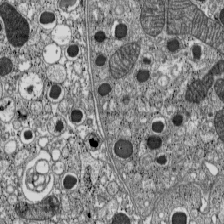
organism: C57BL Mouse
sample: Pancreatic islet